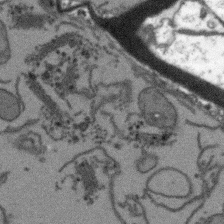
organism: Arabidopsis thaliana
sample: Root tip